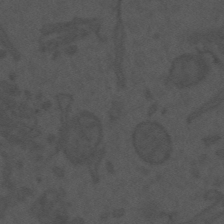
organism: Mouse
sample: Suprachiasmatic nucleus